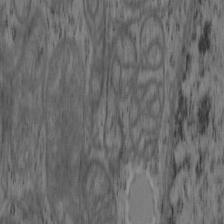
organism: Human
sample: HeLa cells